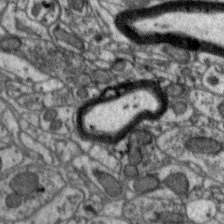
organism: Zebra finch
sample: Brain